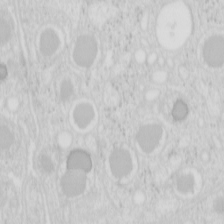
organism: Mouse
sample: Pancreas